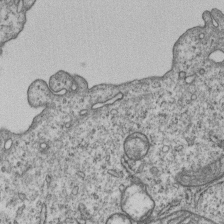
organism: Human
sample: MDA-MB-231 cells